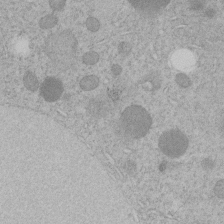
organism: C. elegans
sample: C. elegans embryo early stage